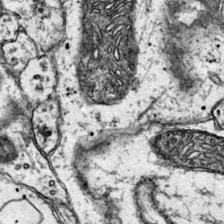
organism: Mouse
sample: Primary visual cortex